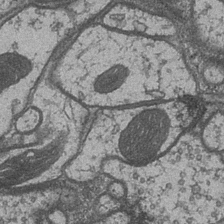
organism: Drosophila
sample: Optic medulla